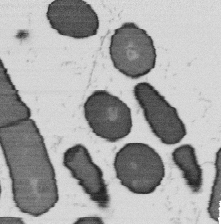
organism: B. subtilis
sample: Bacterial spore